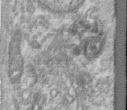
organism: Human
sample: Centriole in RPE cells